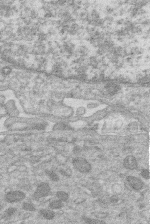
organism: Human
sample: Macrophage cells